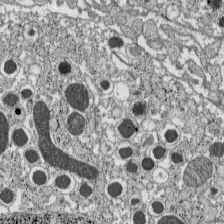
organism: C57BL Mouse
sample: Pancreatic islet